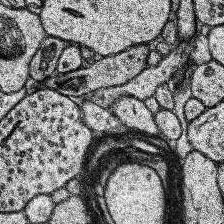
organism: Human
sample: Temporal Lobe